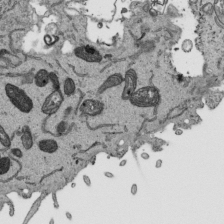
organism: Human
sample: Mitochondria in HCT116 cells